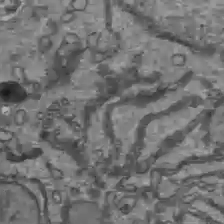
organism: C57BL Mouse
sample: Liver